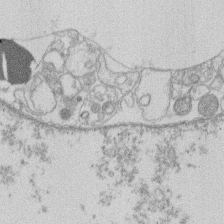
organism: Human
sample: Macrophage cells